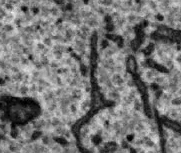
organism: Human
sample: HeLa cells